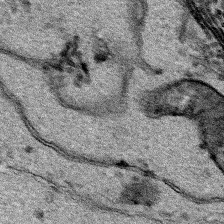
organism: Human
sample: Mitochondria in HCT116 cells